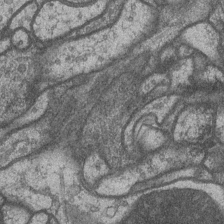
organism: Drosophila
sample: Optic medulla